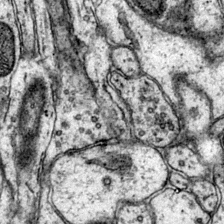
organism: Mouse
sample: Primary visual cortex